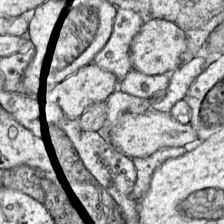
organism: Mouse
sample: Primary visual cortex